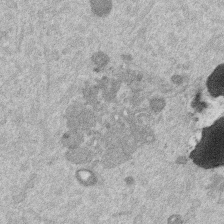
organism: Mouse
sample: Dividing mouse embryo 1 cell stage